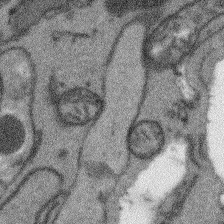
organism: Arabidopsis thaliana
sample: Root tip